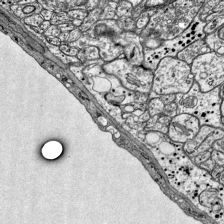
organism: Mouse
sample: Visual Cortex